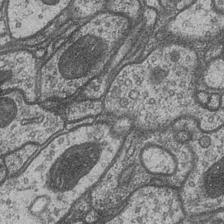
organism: Drosophila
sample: Optic medulla